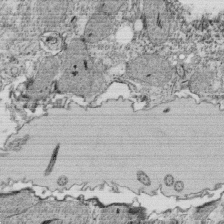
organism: Tetrahymena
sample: Cilia in tetrahymena